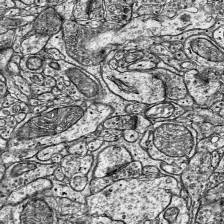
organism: Mouse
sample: Visual Cortex